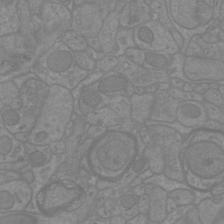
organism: Mouse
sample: Cortical neurons